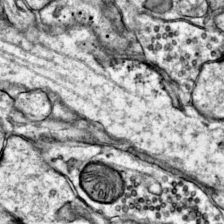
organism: Mouse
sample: Primary visual cortex